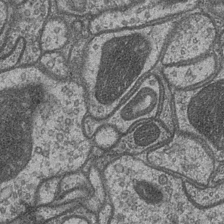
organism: Drosophila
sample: Optic medulla